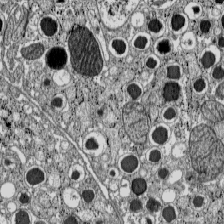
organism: C57BL Mouse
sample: Pancreatic islet